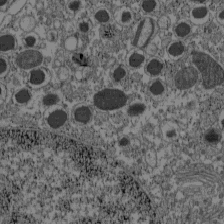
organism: C57BL Mouse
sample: Pancreatic islet